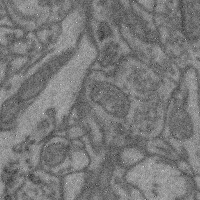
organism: Mouse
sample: Cerebral cortex